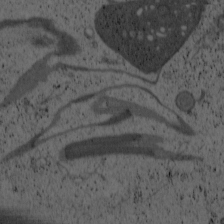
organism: African green monkey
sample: COS-7 cells